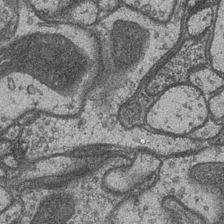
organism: Drosophila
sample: Optic medulla